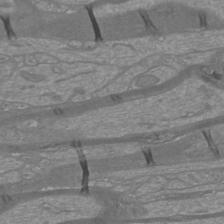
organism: Mouse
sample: Cortical neurons